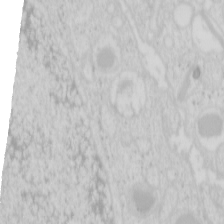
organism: Mouse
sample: Pancreas